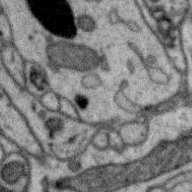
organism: Zebra finch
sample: Brain